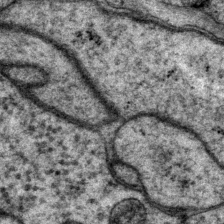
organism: P. pacificus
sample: Pharynx